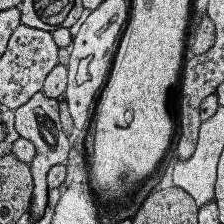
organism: Human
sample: Temporal Lobe